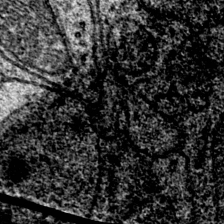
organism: Mouse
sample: Primary visual cortex